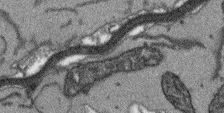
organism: Arabidopsis thaliana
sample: Root tip